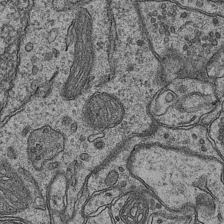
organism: Mouse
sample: CA1 Hippocampus